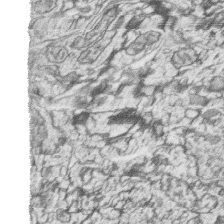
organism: Zebrafish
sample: synaptic ribbons in rod cells and cone cells